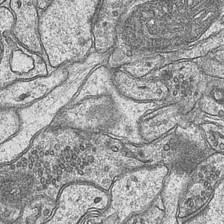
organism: Mouse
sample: CA1 Hippocampus